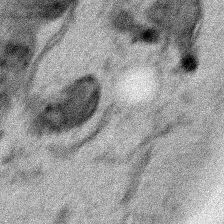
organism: Human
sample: Mitochondria in HCT116 cells